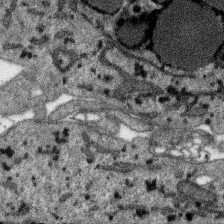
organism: Human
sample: Lung epithelial cells infected with SARS-CoV-2